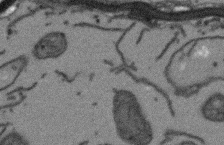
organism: Arabidopsis thaliana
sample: Root tip